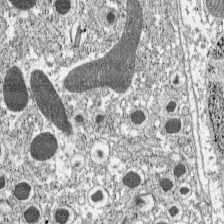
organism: C57BL Mouse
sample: Pancreatic islet